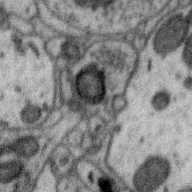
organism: Zebra finch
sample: Brain